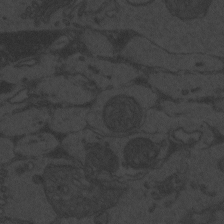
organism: Zebrafish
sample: Macrophage infected with Toxoplasma gondii